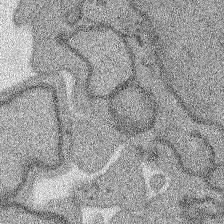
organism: Human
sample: HeLa cells